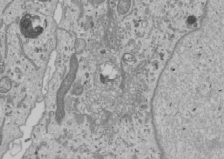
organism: Human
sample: Mitochondria in U2OS cells